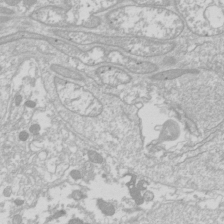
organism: Drosophila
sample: Cell division; meiosis; drosophila spermatocytes